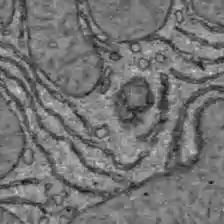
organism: C57BL Mouse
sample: Liver